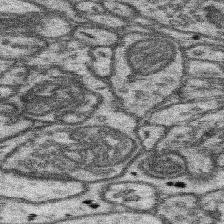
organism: Mouse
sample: Somatosensory cortex neuropil